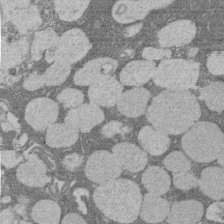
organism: Rat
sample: Salivary granule